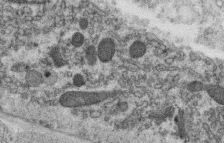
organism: C. elegans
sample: C. elegans oocyte; sperm cells